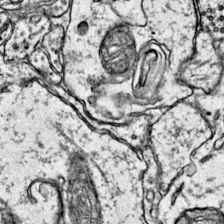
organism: Mouse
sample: Primary visual cortex